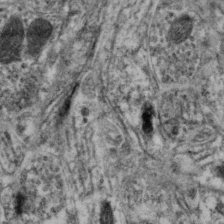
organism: Mouse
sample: Neocortex